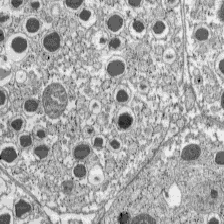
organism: C57BL Mouse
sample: Pancreatic islet